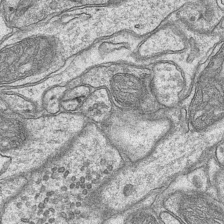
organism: Mouse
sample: CA1 Hippocampus